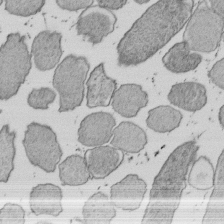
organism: E. coli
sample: Bacterial nucleoid